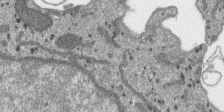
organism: Human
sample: Lung epithelial cells infected with SARS-CoV-2